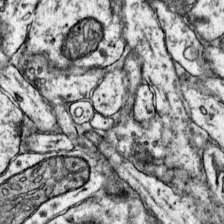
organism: Mouse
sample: Primary visual cortex